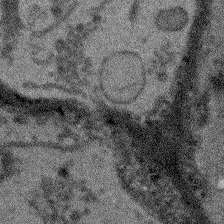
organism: Arabidopsis thaliana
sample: Root tip